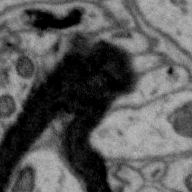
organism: Zebra finch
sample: Brain